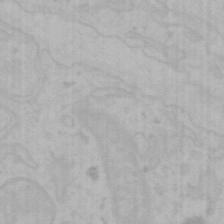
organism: Mouse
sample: Choroid plexus